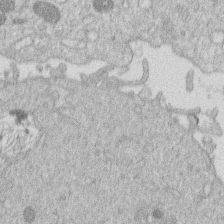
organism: Human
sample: Macrophage cells